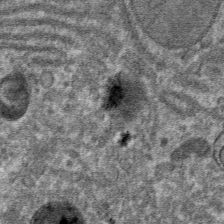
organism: Mouse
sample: Mouse hepatocytes